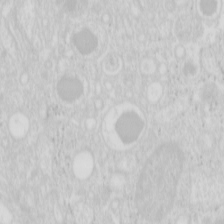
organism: Mouse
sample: Pancreas